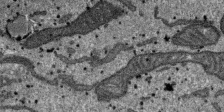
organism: Human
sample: Lung epithelial cells, uninfected (mock) control